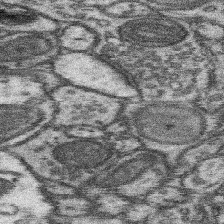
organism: Mouse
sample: Somatosensory cortex neuropil